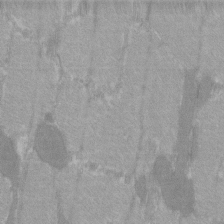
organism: C57BL Mouse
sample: Tibialis anterior muscle cell